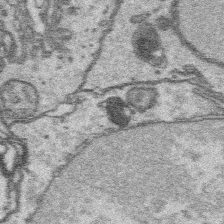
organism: Platynereis dumerilii